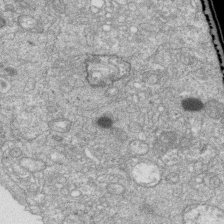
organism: Human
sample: HeLa cell HIV synapse